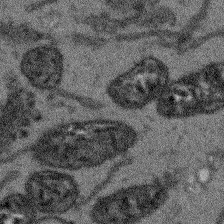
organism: Arabidopsis thaliana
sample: Root tip